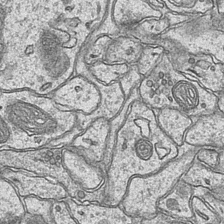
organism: Mouse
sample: CA1 Hippocampus